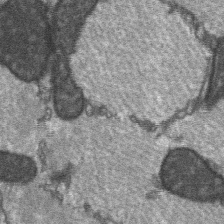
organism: C57BL Mouse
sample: Soleus